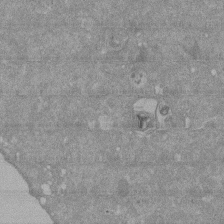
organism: Mouse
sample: ED-1 cell nuclei; centrioles